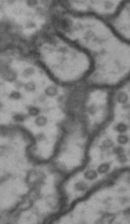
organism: Drosophila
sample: Brain